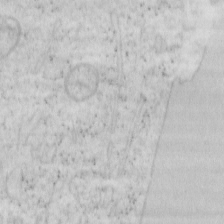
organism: Human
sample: HeLa cells